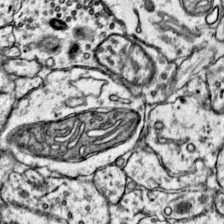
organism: Mouse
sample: Primary visual cortex